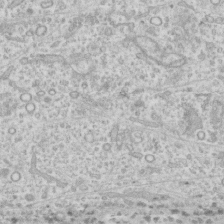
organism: Human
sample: CRL-1474